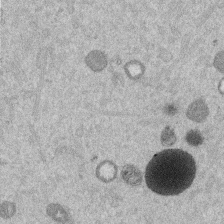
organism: Mouse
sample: Dividing mouse embryo 1 cell stage